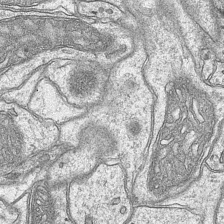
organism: Mouse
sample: CA1 Hippocampus